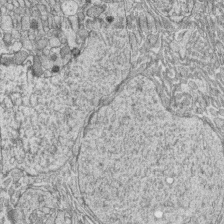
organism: Zebrafish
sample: synaptic ribbons in rod cells and cone cells